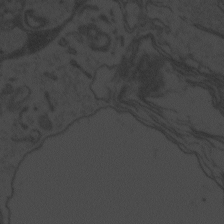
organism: Zebrafish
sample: Macrophage infected with Toxoplasma gondii